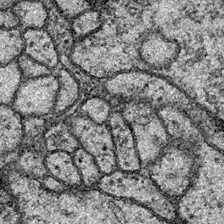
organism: Drosophila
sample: Ventral Nerve Cord